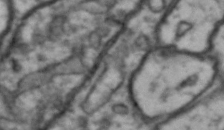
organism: Drosophila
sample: Brain